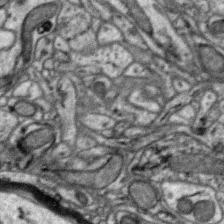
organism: Zebra finch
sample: Brain